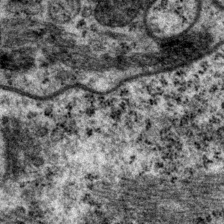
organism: P. pacificus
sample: Pharynx